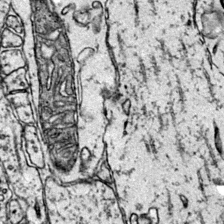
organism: Mouse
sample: Primary visual cortex